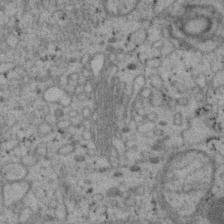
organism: Human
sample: HeLa cells